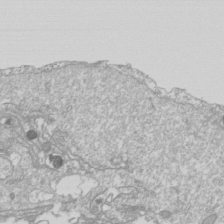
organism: Drosophila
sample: Cell division; meiosis; drosophila spermatocytes